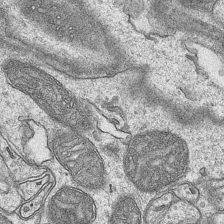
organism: Mouse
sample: CA1 Hippocampus